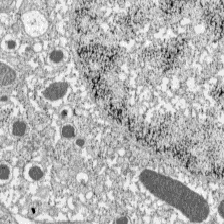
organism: C57BL Mouse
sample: Pancreatic islet